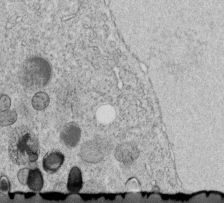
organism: C. elegans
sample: C. elegans embryo early stage